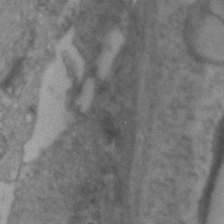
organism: Zebrafish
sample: Zebrafish embryo